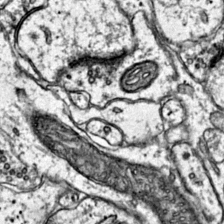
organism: Mouse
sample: Primary visual cortex